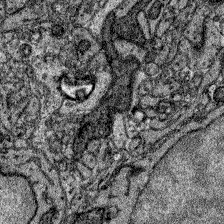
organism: Zebrafish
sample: Larval olfactory bulb